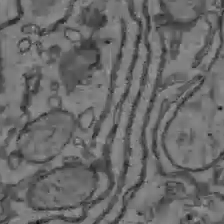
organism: C57BL Mouse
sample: Liver